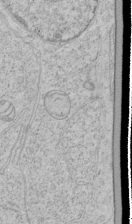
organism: Human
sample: Mitochondria in HCT116 cells